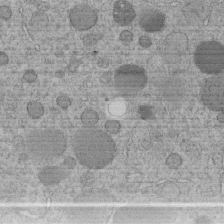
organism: C. elegans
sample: C. elegans embryo early stage